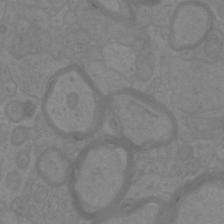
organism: Mouse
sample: Cortical neurons